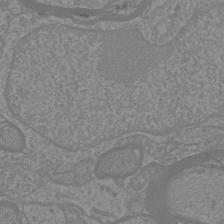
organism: Mouse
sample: Cortical neurons